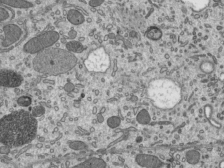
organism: Mouse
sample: Mouse epididymis efferent ductule cilia